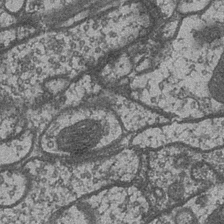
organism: Drosophila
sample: Optic medulla